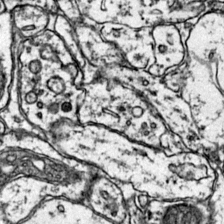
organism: Mouse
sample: Primary visual cortex